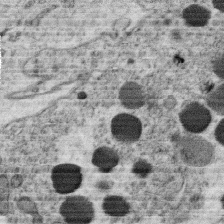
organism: C. elegans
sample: C. elegans oocyte; sperm cells